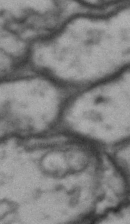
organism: Drosophila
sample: Brain